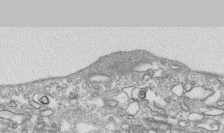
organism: Human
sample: CRL-1474